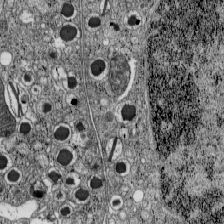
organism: C57BL Mouse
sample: Pancreatic islet